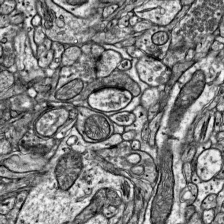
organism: Mouse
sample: Visual Cortex